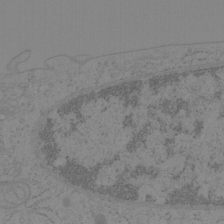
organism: Human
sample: HeLa cells